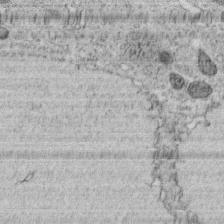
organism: C. elegans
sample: C. elegans embryo early stage